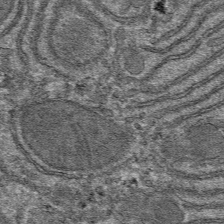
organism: Mouse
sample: Mouse hepatocytes